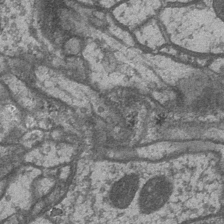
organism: Drosophila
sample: Optic medulla